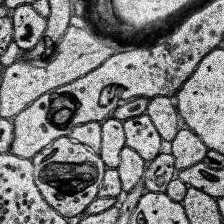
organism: Human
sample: Temporal Lobe